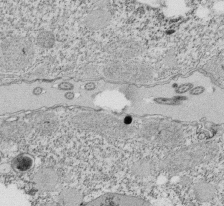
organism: Tetrahymena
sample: Cilia in tetrahymena